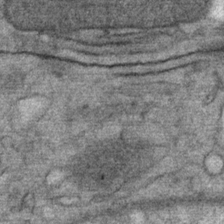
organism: Mouse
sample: Mouse Salivary gland